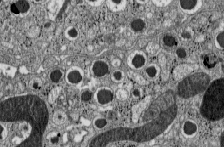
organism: C57BL Mouse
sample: Pancreatic islet